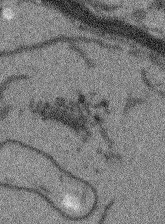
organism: Arabidopsis thaliana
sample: Root tip